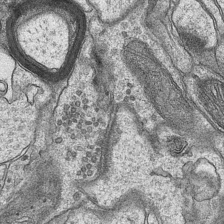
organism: Mouse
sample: CA1 Hippocampus